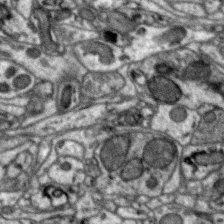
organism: Zebra finch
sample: Brain